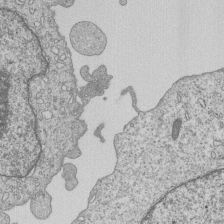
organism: Human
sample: MDA-MB-231 cells